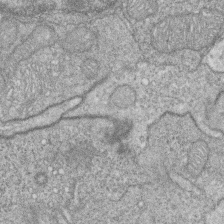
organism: Zebrafish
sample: Cilia; retinal pigment epithelium